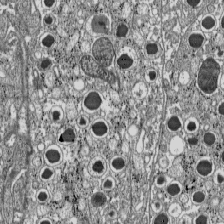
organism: C57BL Mouse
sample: Pancreatic islet